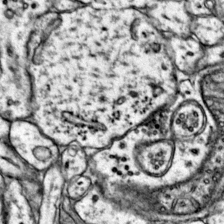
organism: Mouse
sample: Primary visual cortex